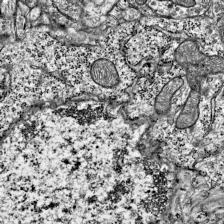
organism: Mouse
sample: Visual Cortex